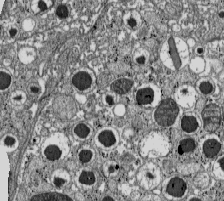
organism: C57BL Mouse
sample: Pancreatic islet